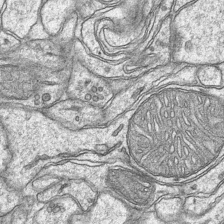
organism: Mouse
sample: CA1 Hippocampus